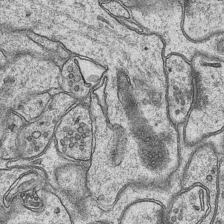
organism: Mouse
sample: CA1 Hippocampus